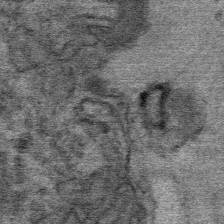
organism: Mouse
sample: Mouse Salivary gland